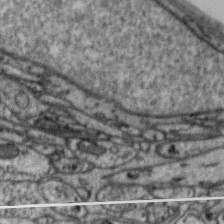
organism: Zebra finch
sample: Brain